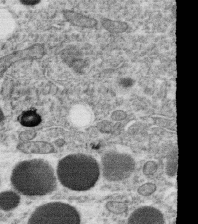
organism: C. elegans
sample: C. elegans oocyte; sperm cells